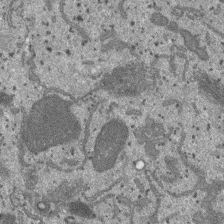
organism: Human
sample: Lung epithelial cells infected with SARS-CoV-2